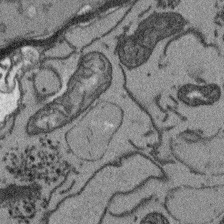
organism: Arabidopsis thaliana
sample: Root tip